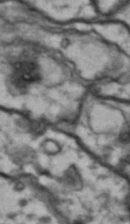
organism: Drosophila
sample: Brain